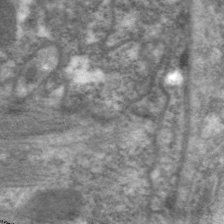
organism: C. elegans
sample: Pharynx